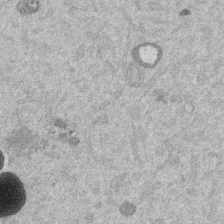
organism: Mouse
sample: Dividing mouse embryo 1 cell stage